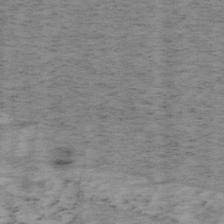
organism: Mouse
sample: OT-I killer T cells with ID8 ovarian cancer cells